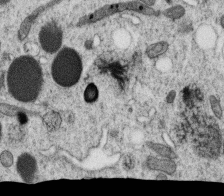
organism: C. elegans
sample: C. elegans oocyte; sperm cells